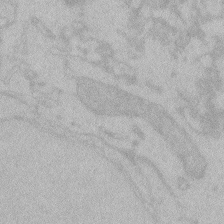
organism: Zebrafish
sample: Macrophage infected with Toxoplasma gondii